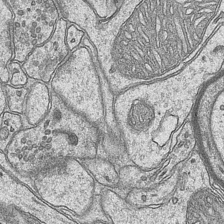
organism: Mouse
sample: CA1 Hippocampus